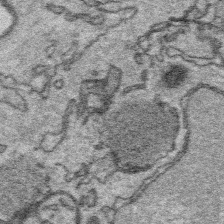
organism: Platynereis dumerilii